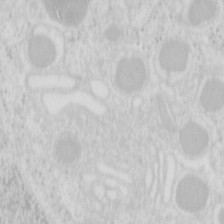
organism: Mouse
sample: Pancreas